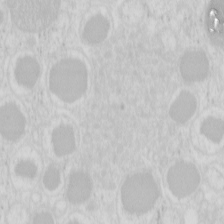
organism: Mouse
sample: Pancreas